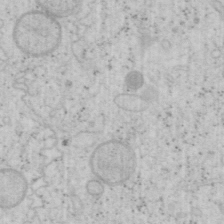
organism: Human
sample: HeLa cells